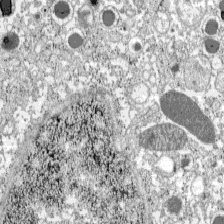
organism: C57BL Mouse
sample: Pancreatic islet